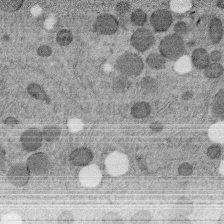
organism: C. elegans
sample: C. elegans embryo early stage